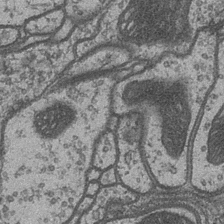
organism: Drosophila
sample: Optic medulla